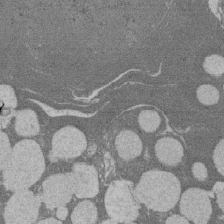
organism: Rat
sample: Salivary granule